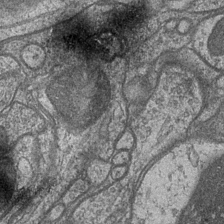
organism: Drosophila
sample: Optic medulla